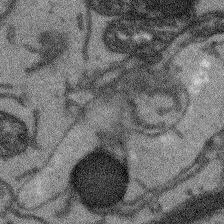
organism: Arabidopsis thaliana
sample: Root tip